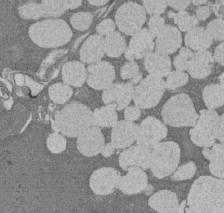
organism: Rat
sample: Salivary granule